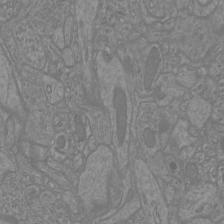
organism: Mouse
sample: Cortical neurons